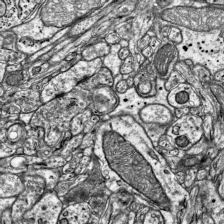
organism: Mouse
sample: Visual Cortex